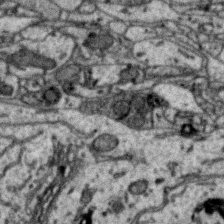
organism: Zebra finch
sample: Brain